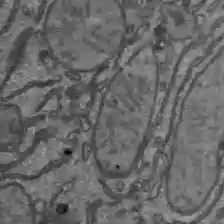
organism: C57BL Mouse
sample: Liver